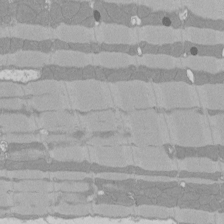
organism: Rat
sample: Left ventricle